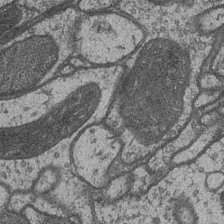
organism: Drosophila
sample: Optic medulla